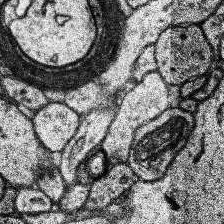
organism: Human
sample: Temporal Lobe